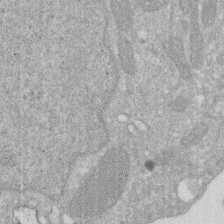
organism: Human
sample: HIV infected U937 cells